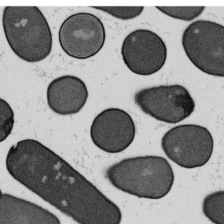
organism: B. subtilis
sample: Bacterial spore